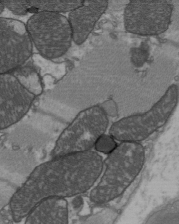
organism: C57BL Mouse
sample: Heart